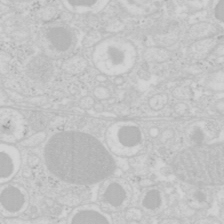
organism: Mouse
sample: Pancreas